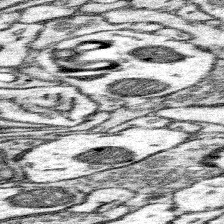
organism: Mouse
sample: Somatosensory cortex neuropil